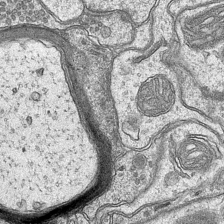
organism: Mouse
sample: CA1 Hippocampus